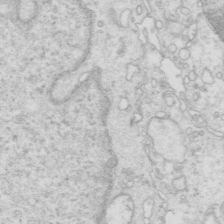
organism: Mouse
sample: Multiciliated cells